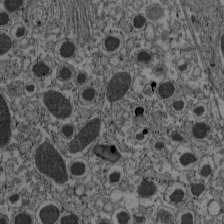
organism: C57BL Mouse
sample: Pancreatic islet